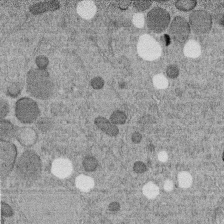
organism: C. elegans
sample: C. elegans embryo early stage